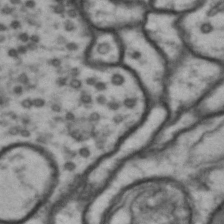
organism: Drosophila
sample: Brain